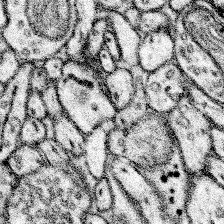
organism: Mouse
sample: Somatosensory cortex neuropil